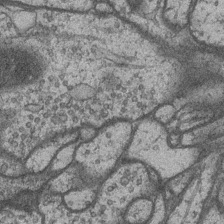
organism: Drosophila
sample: Optic medulla